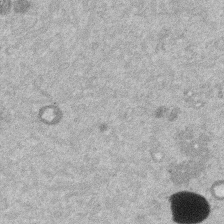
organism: Mouse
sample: Dividing mouse embryo 1 cell stage